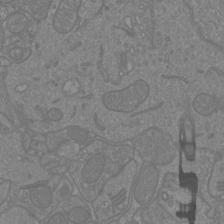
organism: Mouse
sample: Cortical neurons